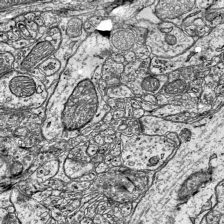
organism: Mouse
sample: Visual Cortex